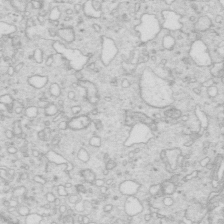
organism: Mouse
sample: Multiciliated cells